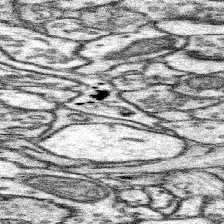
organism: Mouse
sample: Somatosensory cortex neuropil